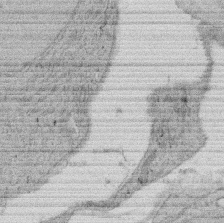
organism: Rat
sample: Salivary granule